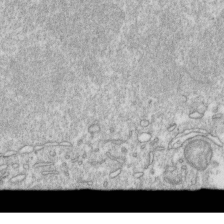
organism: Mouse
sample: Activated OT-1 CD8+ T cells